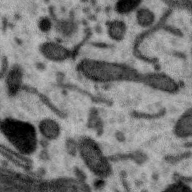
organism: Zebra finch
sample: Brain